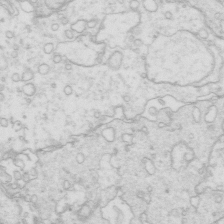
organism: Mouse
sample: Multiciliated cells